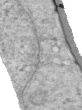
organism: Human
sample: Centriole in RPE cells